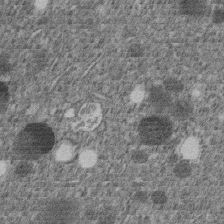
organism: C. elegans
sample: C. elegans embryo early stage